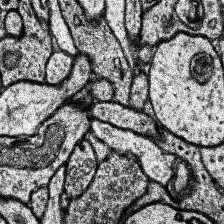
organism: Human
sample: Temporal Lobe